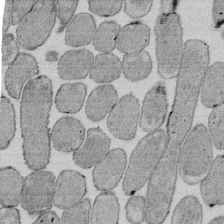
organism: E. coli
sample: Bacterial nucleoid